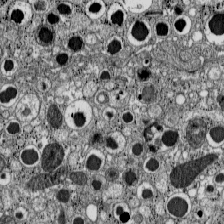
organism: C57BL Mouse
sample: Pancreatic islet